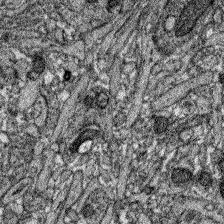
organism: Zebrafish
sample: Larval olfactory bulb